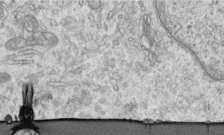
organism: Human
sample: Centriole in RPE cells